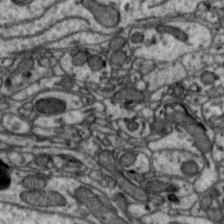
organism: Zebra finch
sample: Brain